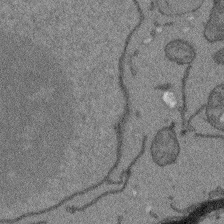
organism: Arabidopsis thaliana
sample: Root tip